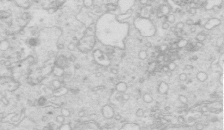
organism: Mouse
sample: Multiciliated cells